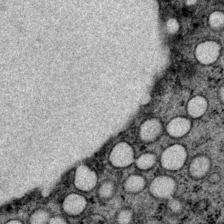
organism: P. pacificus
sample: Pharynx